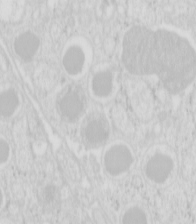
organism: Mouse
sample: Pancreas